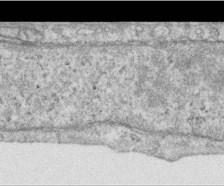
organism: Human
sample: Centriole in RPE cells